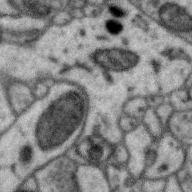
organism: Zebra finch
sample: Brain